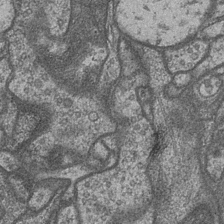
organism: Drosophila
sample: Optic medulla